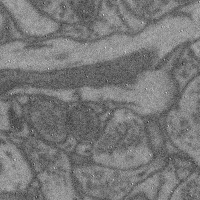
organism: Mouse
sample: Cerebral cortex